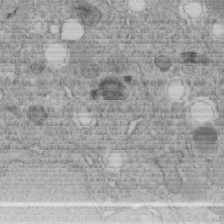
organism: C. elegans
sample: C. elegans embryo early stage